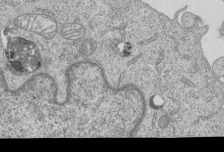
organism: Human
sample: MDA-MB-231 cells